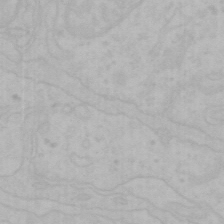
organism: Mouse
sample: Choroid plexus